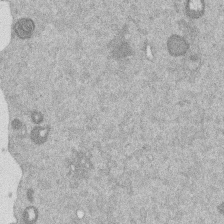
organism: Mouse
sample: Dividing mouse embryo 1 cell stage